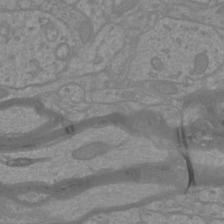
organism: Mouse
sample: Cortical neurons